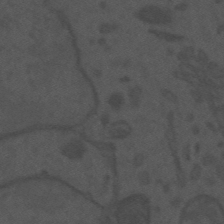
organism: Mouse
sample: Suprachiasmatic nucleus